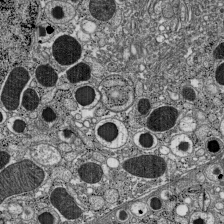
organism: C57BL Mouse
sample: Pancreatic islet